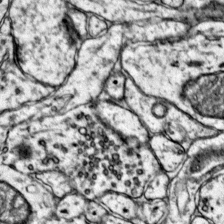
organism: Mouse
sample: Primary visual cortex